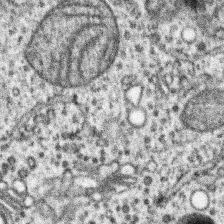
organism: Human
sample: HeLa cells